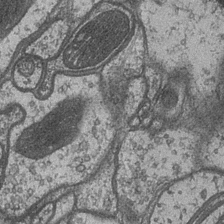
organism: Drosophila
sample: Optic medulla